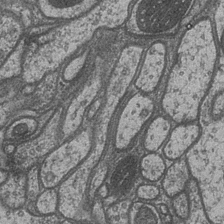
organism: Drosophila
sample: Optic medulla